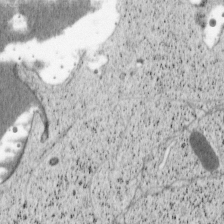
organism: African green monkey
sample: COS-7 cells